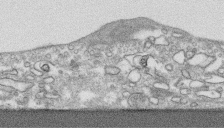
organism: Human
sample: CRL-1474